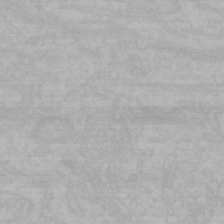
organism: Mouse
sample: Choroid plexus